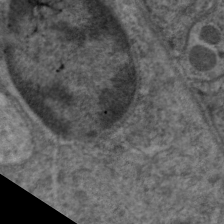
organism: C. elegans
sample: Pharynx